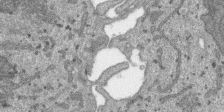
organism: Human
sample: Lung epithelial cells infected with SARS-CoV-2